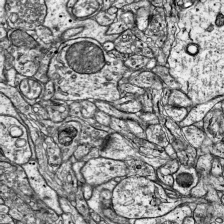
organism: Mouse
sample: Visual Cortex